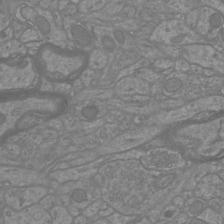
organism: Mouse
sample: Cortical neurons